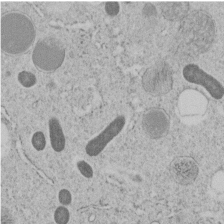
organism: C. elegans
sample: C. elegans embryo early stage